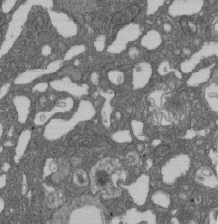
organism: Drosophila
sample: Nephrocyte